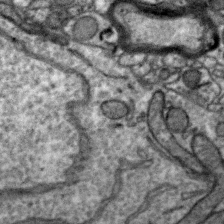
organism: Zebra finch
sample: Brain